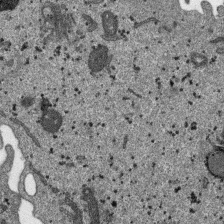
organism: Human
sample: Lung epithelial cells infected with SARS-CoV-2